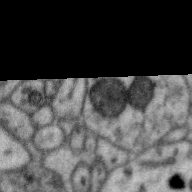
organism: Zebra finch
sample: Brain